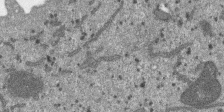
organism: Human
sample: Lung epithelial cells infected with SARS-CoV-2